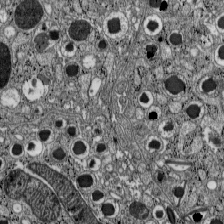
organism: C57BL Mouse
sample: Pancreatic islet